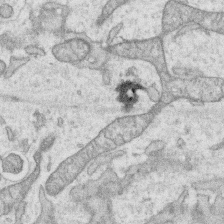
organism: Human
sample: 1205lu cells